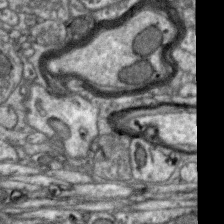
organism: Zebra finch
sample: Brain